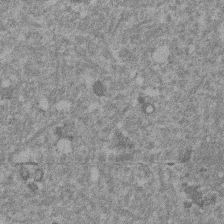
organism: Mouse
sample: Dividing mouse embryo 1 cell stage